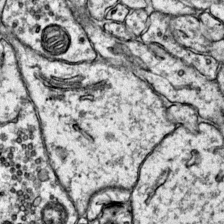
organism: Mouse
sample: Primary visual cortex